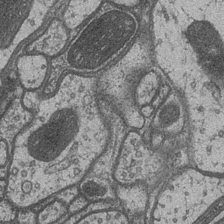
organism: Drosophila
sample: Optic medulla